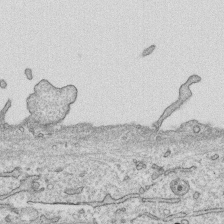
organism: Human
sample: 1205lu cells